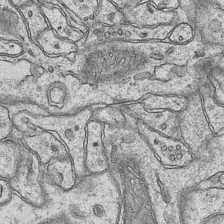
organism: Mouse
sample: CA1 Hippocampus